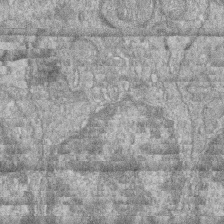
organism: Zebrafish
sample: Cilia; retinal pigment epithelium